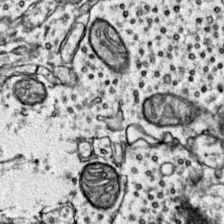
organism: Mouse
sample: Primary visual cortex